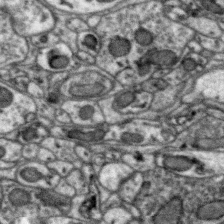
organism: Zebra finch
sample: Brain